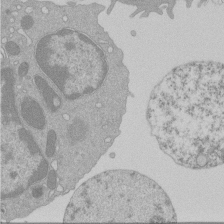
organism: Mouse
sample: Activated Pmel transgenic CD8+ T Cells